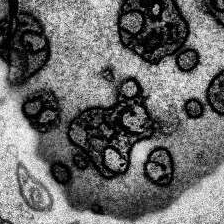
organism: Human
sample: Temporal Lobe